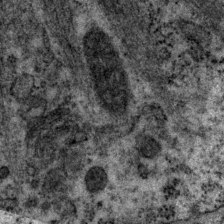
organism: P. pacificus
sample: Pharynx